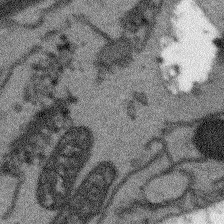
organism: Arabidopsis thaliana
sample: Root tip